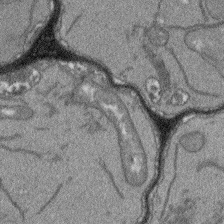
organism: Arabidopsis thaliana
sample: Root tip